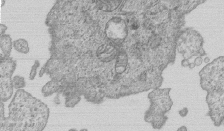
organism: Human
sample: MDA-MB-231 cells